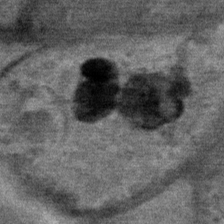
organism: Mouse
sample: Mouse Salivary gland